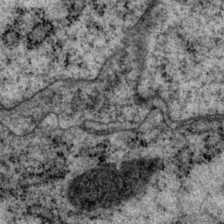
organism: P. pacificus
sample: Pharynx